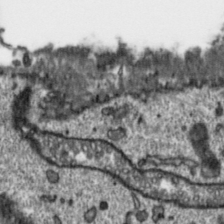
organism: Toxoplasma gondii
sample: Parasites in a vacuole inside a host cell